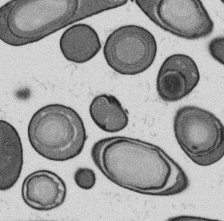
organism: B. subtilis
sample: Bacterial spore